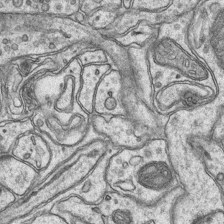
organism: Mouse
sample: CA1 Hippocampus